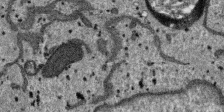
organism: Human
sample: Lung epithelial cells, uninfected (mock) control